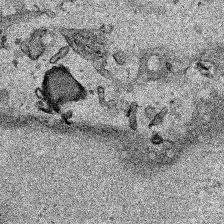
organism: Human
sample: Mitochondria in HCT116 cells